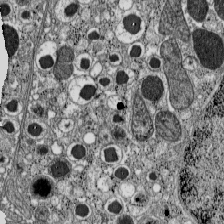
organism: C57BL Mouse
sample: Pancreatic islet